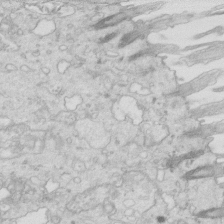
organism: Mouse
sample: Multiciliated cells